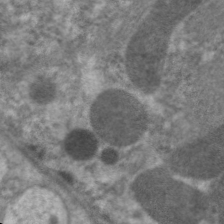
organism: C. elegans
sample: Pharynx